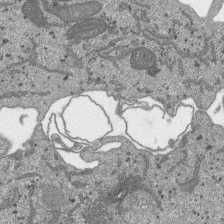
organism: Human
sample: Lung epithelial cells infected with SARS-CoV-2